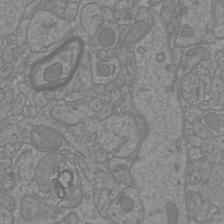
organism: Mouse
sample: Cortical neurons